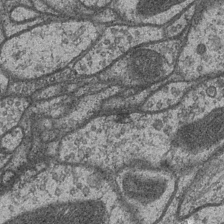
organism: Drosophila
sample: Optic medulla